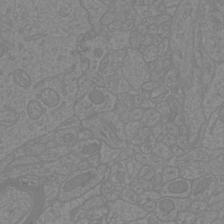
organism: Mouse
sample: Cortical neurons